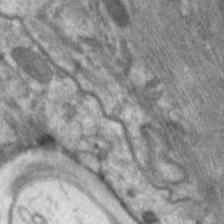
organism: C. elegans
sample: Pharynx